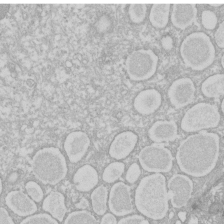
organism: Xenopus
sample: Cilia; centrioles in frog embryo cells